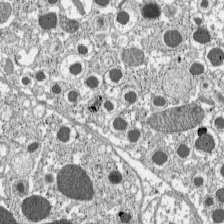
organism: C57BL Mouse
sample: Pancreatic islet